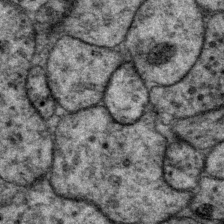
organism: P. pacificus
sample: Pharynx